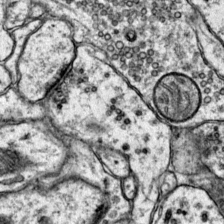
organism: Mouse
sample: Primary visual cortex